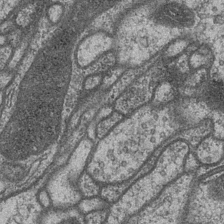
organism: Drosophila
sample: Optic medulla